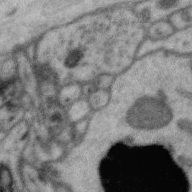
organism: Zebra finch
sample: Brain